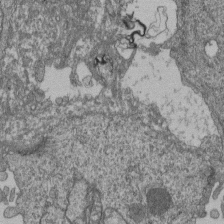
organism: Human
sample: Retinal organoid Rod and Cone cells